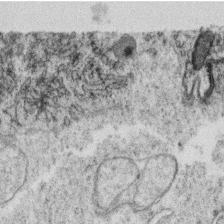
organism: C. elegans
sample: C. elegans oocyte; sperm cells